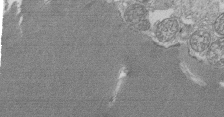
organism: Tetrahymena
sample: Cilia in tetrahymena